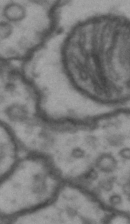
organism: Drosophila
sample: Brain